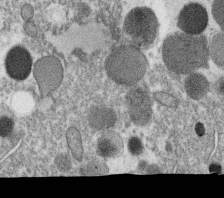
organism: C. elegans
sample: C. elegans oocyte; sperm cells